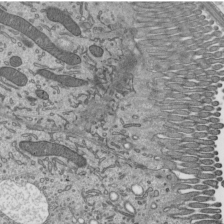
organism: Mouse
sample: Mouse epididymis efferent ductule cilia